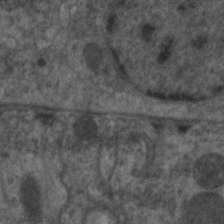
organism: C. elegans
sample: Pharynx